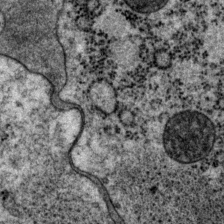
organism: P. pacificus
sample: Pharynx